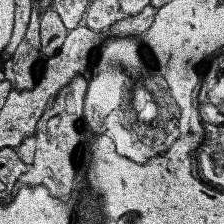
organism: Human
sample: Temporal Lobe